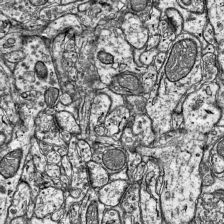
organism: Mouse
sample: Visual Cortex